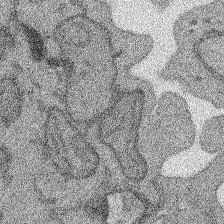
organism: Human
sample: HeLa cells